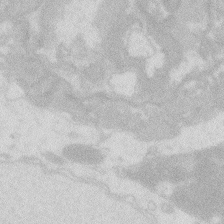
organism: Zebrafish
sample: Macrophage